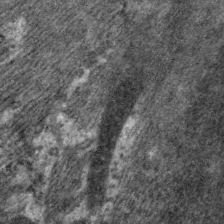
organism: C. elegans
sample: Pharynx